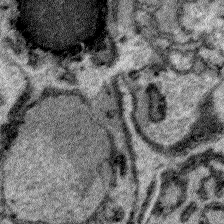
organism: Plasmodium falciparum